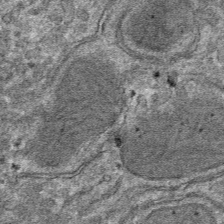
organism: Mouse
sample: Mouse hepatocytes